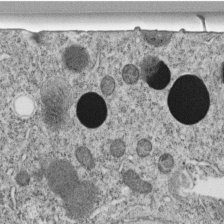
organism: C. elegans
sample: C. elegans embryo early stage